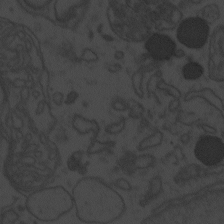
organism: Zebrafish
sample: Macrophage infected with Toxoplasma gondii